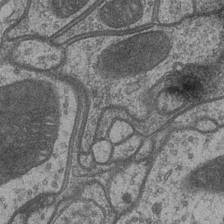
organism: Drosophila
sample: Optic medulla